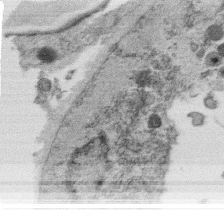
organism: C. elegans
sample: C. elegans oocyte; sperm cells